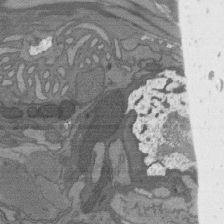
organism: C. elegans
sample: AFD neurons C. elegans